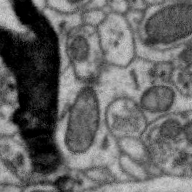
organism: Zebra finch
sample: Brain